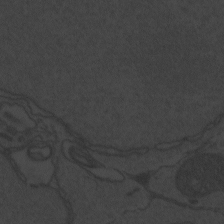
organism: Zebrafish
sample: Macrophage infected with Toxoplasma gondii